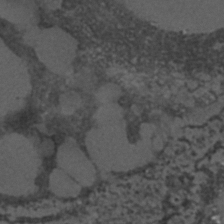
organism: C. elegans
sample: C. elegans embryo